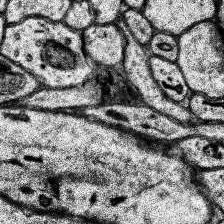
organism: Human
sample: Temporal Lobe